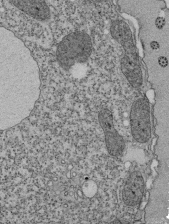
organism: Tetrahymena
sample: Cilia in tetrahymena